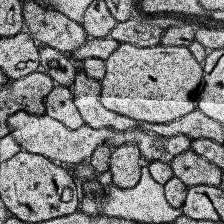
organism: Human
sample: Temporal Lobe